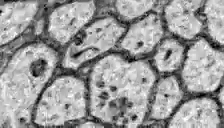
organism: Zebrafish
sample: Brain